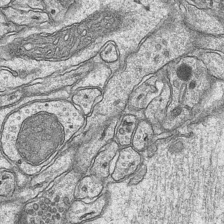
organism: Mouse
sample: CA1 Hippocampus